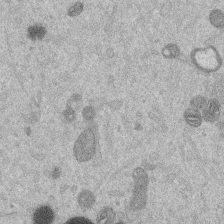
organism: Mouse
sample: Dividing mouse embryo 1 cell stage